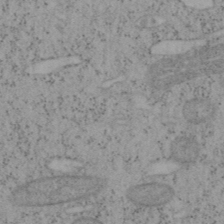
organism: Mouse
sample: OT-I killer T cells with ID8 ovarian cancer cells